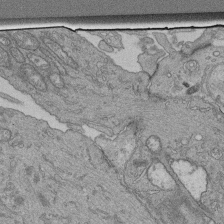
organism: Human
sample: Retinal organoid Rod and Cone cells